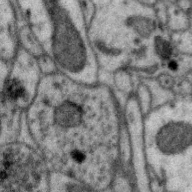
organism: Zebra finch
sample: Brain